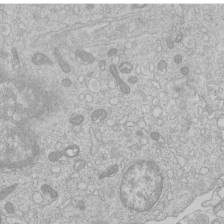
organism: Human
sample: Macrophage cells